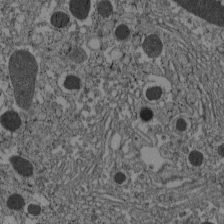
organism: C57BL Mouse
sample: Pancreatic islet